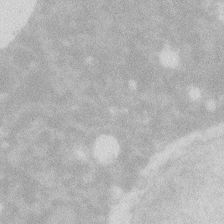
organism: Zebrafish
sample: Macrophage